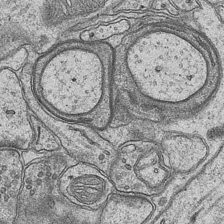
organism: Mouse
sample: CA1 Hippocampus